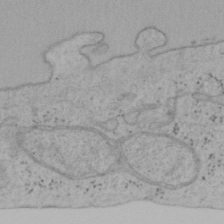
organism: Human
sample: HeLa cells